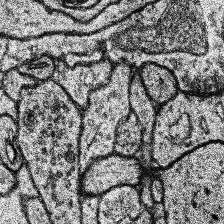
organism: Human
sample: Temporal Lobe